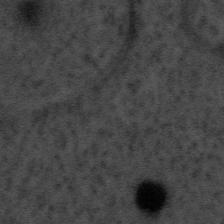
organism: Tuwongella immobilis